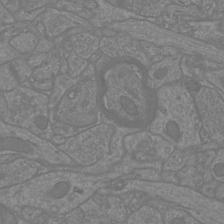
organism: Mouse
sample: Cortical neurons